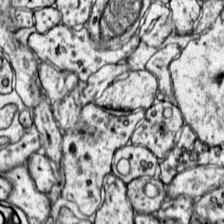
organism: Mouse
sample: Primary visual cortex